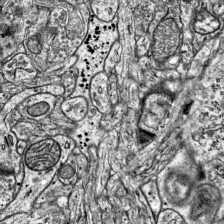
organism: Mouse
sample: Visual Cortex